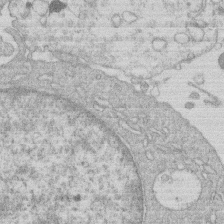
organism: Human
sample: Macrophage cells